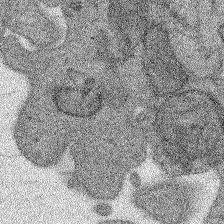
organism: Human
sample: HeLa cells